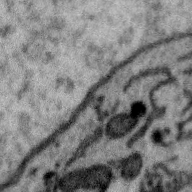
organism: Zebra finch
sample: Brain